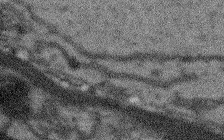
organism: Arabidopsis thaliana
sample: Root tip